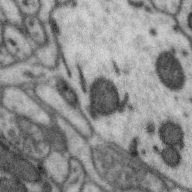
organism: Zebra finch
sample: Brain